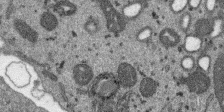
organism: Human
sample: Lung epithelial cells infected with SARS-CoV-2